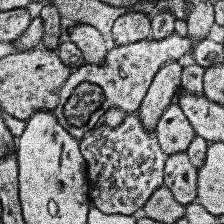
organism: Human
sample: Temporal Lobe